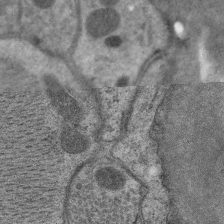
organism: C. elegans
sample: Pharynx